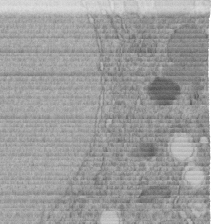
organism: C. elegans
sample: C. elegans embryo early stage